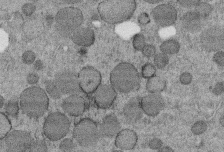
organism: C. elegans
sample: C. elegans embryo early stage